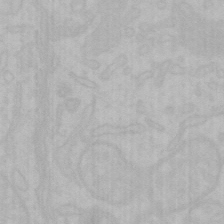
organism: Mouse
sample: Choroid plexus